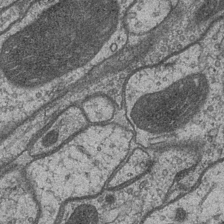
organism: Drosophila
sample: Optic medulla